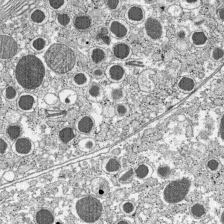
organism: C57BL Mouse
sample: Pancreatic islet